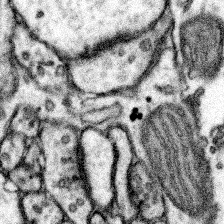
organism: Mouse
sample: Somatosensory cortex neuropil